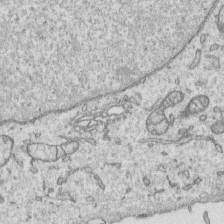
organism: Human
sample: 1205lu cells